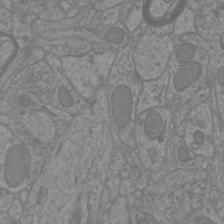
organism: Mouse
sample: Cortical neurons